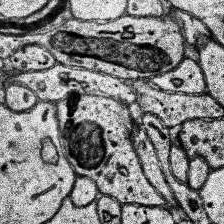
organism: Human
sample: Temporal Lobe